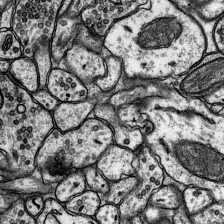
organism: Rat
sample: Hippocampus